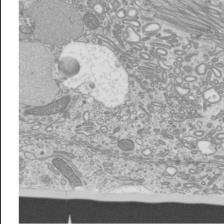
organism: Mouse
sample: Cilia; mouse epididymis